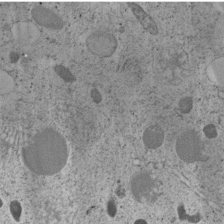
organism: C. elegans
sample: C. elegans embryo early stage